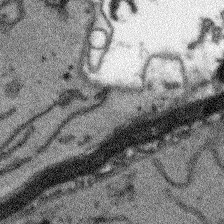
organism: Arabidopsis thaliana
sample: Root tip